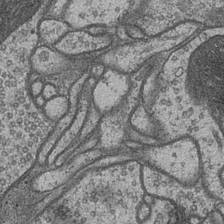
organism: Drosophila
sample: Optic medulla